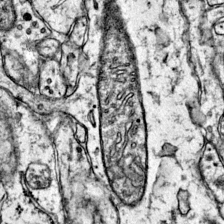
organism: Mouse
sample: Primary visual cortex